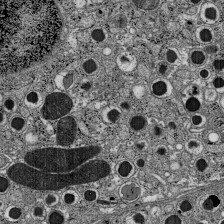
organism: C57BL Mouse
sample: Pancreatic islet